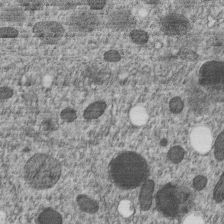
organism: C. elegans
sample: C. elegans embryo early stage